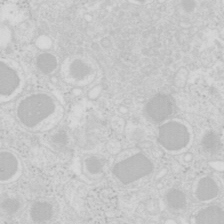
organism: Mouse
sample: Pancreas